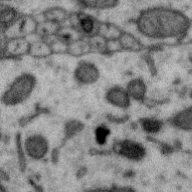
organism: Zebra finch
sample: Brain